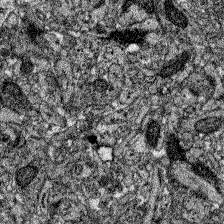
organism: Zebrafish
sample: Larval olfactory bulb